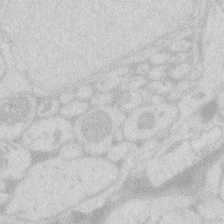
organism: Zebrafish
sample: Macrophage